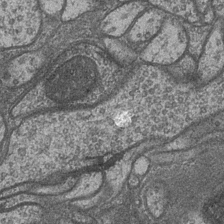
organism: Drosophila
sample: Optic medulla